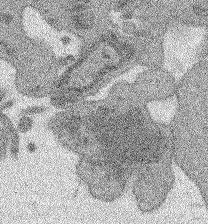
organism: Human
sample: HeLa cells